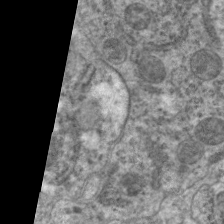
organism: C. elegans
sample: Pharynx